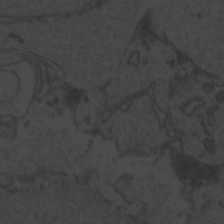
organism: Zebrafish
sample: Macrophage infected with Toxoplasma gondii